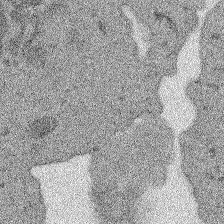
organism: Human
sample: HeLa cells